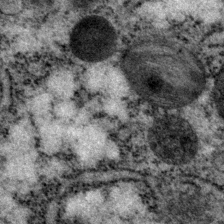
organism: P. pacificus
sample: Pharynx